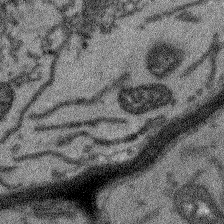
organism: Arabidopsis thaliana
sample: Root tip